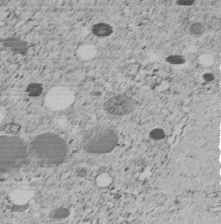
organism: C. elegans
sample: C. elegans embryo early stage